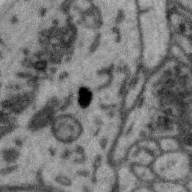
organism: Zebra finch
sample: Brain